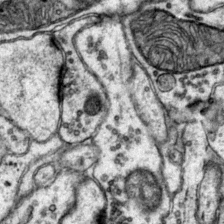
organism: Mouse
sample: Primary visual cortex